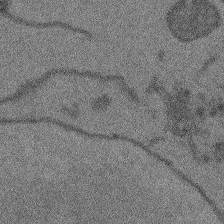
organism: Arabidopsis thaliana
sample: Root tip